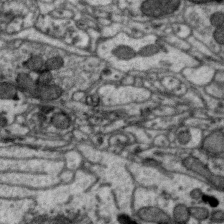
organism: Zebra finch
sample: Brain